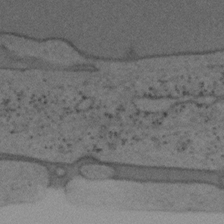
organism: Human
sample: HeLa cells